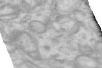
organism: Human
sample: Centriole in RPE cells